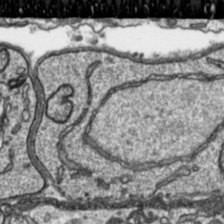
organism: Toxoplasma gondii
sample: Parasites in a vacuole inside a host cell